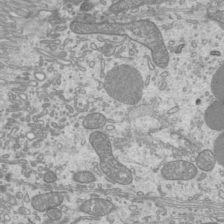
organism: Mouse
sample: Cilia; mouse epididymis